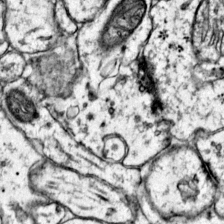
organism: Mouse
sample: Primary visual cortex